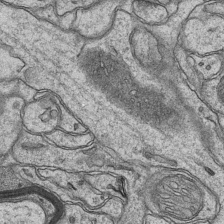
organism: Mouse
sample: CA1 Hippocampus